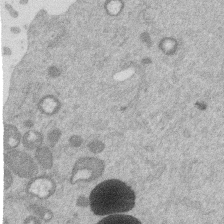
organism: Mouse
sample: Dividing mouse embryo 1 cell stage